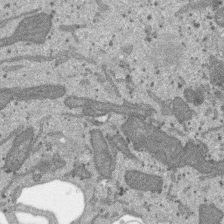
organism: Human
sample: Lung epithelial cells infected with SARS-CoV-2